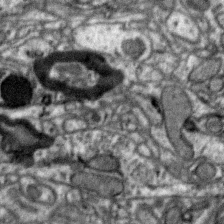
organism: Zebra finch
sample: Brain